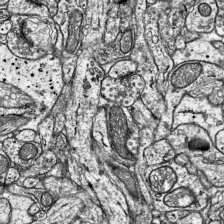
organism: Mouse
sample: Visual Cortex